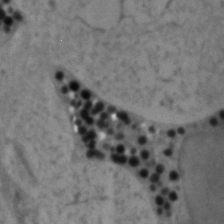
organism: Zebrafish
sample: Zebrafish embryo